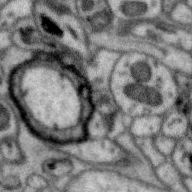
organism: Zebra finch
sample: Brain